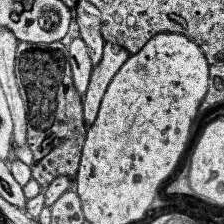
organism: Human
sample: Temporal Lobe